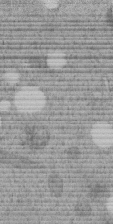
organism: C. elegans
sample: C. elegans embryo early stage